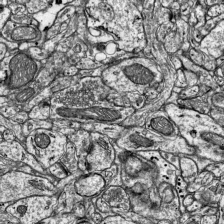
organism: Mouse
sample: Visual Cortex